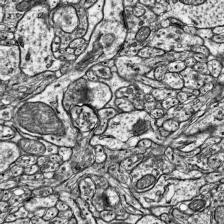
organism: Mouse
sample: Visual Cortex